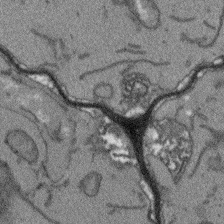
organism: Arabidopsis thaliana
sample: Root tip